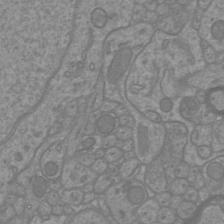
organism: Mouse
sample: Cortical neurons